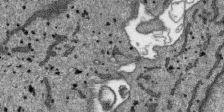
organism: Human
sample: Lung epithelial cells, uninfected (mock) control